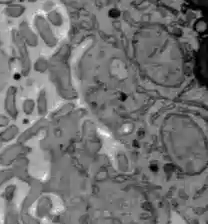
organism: C57BL Mouse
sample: Liver